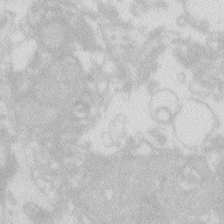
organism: Zebrafish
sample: Macrophage